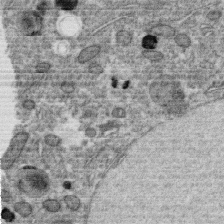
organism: C. elegans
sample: C. elegans oocyte; sperm cells